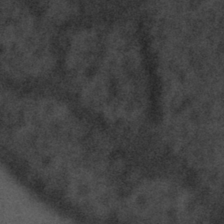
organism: Tuwongella immobilis